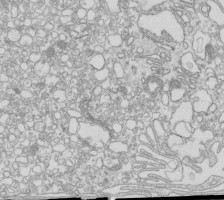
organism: Mouse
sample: Macrophages